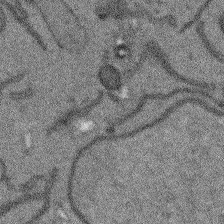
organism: Arabidopsis thaliana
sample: Root tip